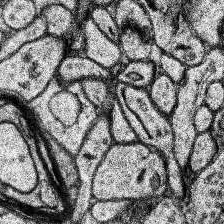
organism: Human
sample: Temporal Lobe